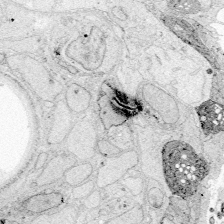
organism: Zebrafish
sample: Whole-Brain